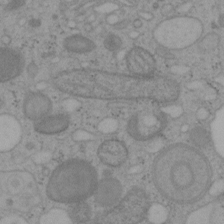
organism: Mouse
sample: OT-I killer T cells with ID8 ovarian cancer cells